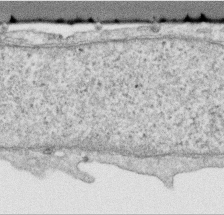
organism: Human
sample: Centriole in RPE cells